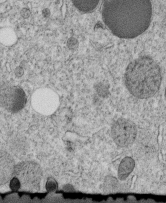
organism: C. elegans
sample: C. elegans embryo early stage